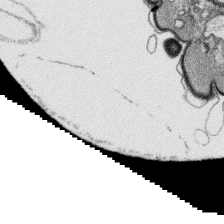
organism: Platynereis dumerilii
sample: Parapodia